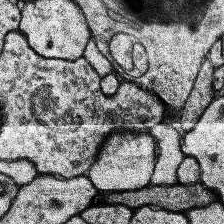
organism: Human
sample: Temporal Lobe